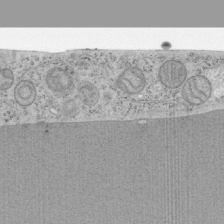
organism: Human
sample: HeLa cells